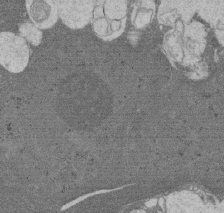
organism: Rat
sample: Salivary granule